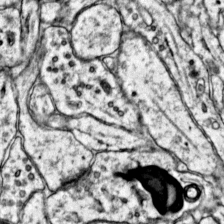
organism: Mouse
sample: Primary visual cortex